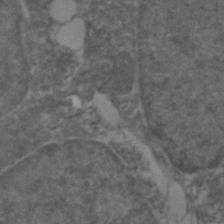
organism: Zebrafish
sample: Zebrafish embryo